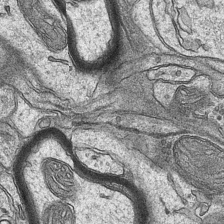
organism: Mouse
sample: CA1 Hippocampus